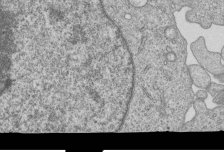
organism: Human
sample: MDA-MB-231 cells